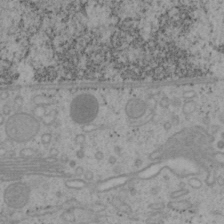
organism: Human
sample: HeLa cells